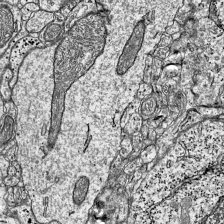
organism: Mouse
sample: Visual Cortex